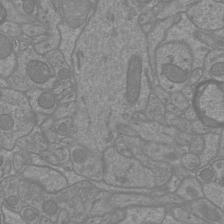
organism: Mouse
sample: Cortical neurons